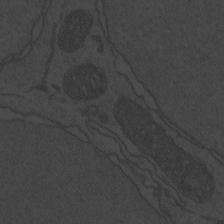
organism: Zebrafish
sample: Macrophage infected with Toxoplasma gondii